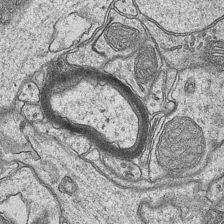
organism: Mouse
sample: CA1 Hippocampus